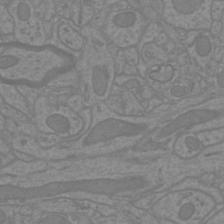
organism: Mouse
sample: Cortical neurons